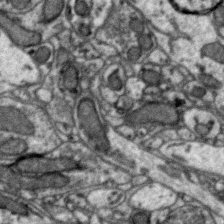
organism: Zebra finch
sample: Brain